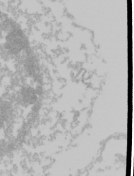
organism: Mouse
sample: Cancer cell death in ED-1 cells